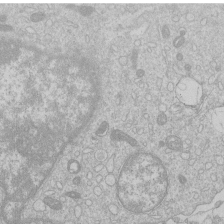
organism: Human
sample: Macrophage cells